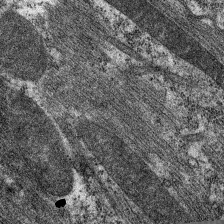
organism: C. elegans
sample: Pharynx